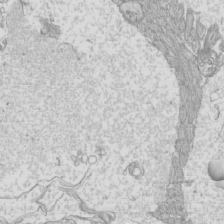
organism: Mouse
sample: Cilia; mouse epididymis